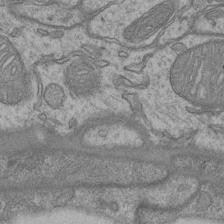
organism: Mouse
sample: CA1 Hippocampus